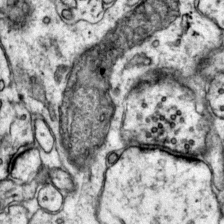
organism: Mouse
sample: Primary visual cortex